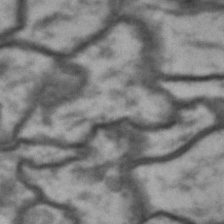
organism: Drosophila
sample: Brain